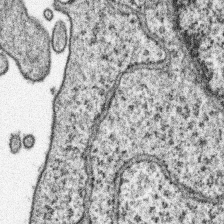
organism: Human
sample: HeLa cells